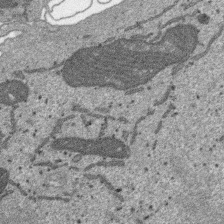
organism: Human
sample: Lung epithelial cells infected with SARS-CoV-2